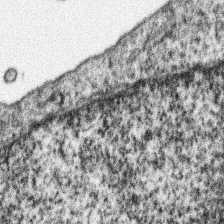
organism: Human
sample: HeLa cells